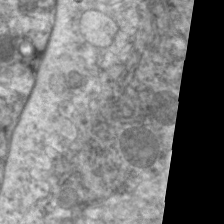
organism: C. elegans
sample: Pharynx